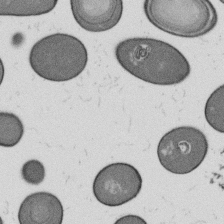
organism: B. subtilis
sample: Bacterial spore